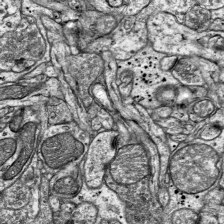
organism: Mouse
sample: Visual Cortex